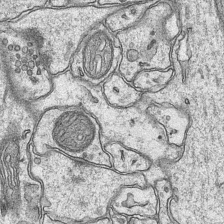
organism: Mouse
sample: CA1 Hippocampus